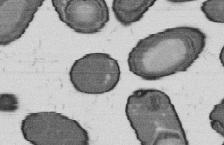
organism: B. subtilis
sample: Bacterial spore